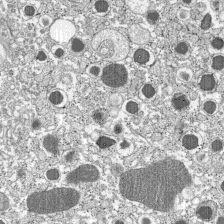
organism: C57BL Mouse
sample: Pancreatic islet